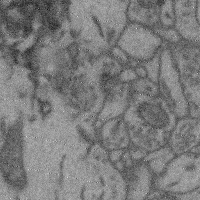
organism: Mouse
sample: Cerebral cortex